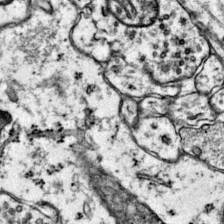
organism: Mouse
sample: Primary visual cortex